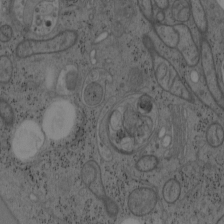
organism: Mouse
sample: OT-I killer T cells with ID8 ovarian cancer cells